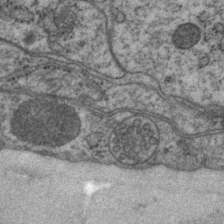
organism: P. pacificus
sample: Pharynx